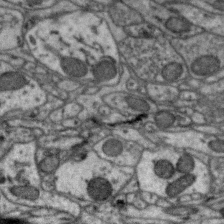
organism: Zebra finch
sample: Brain